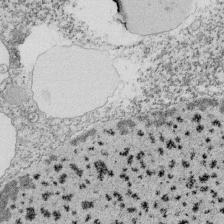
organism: Tetrahymena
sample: Cilia in tetrahymena